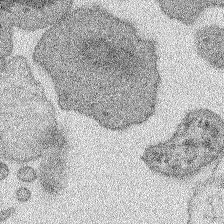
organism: Human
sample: HeLa cells